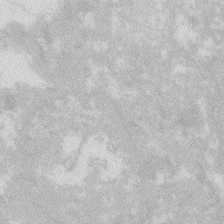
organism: Zebrafish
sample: Macrophage